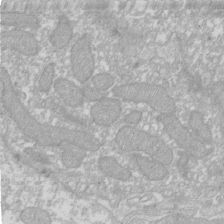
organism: Xenopus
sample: Cilia; centrioles in frog embryo cells